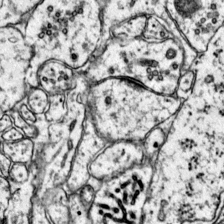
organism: Mouse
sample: Primary visual cortex